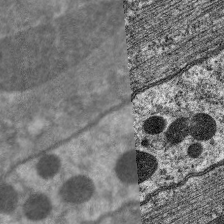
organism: C. elegans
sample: Pharynx